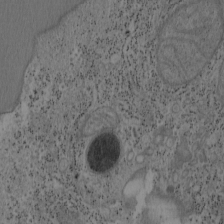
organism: Mouse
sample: OT-I killer T cells with ID8 ovarian cancer cells